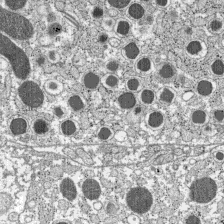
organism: C57BL Mouse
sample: Pancreatic islet